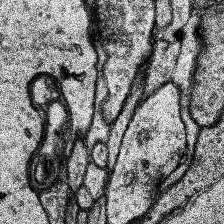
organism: Human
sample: Temporal Lobe